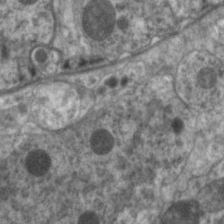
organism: C. elegans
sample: Pharynx